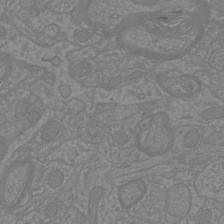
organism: Mouse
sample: Cortical neurons